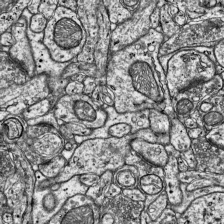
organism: Mouse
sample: Visual Cortex